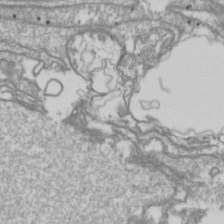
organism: Drosophila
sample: Cell division; meiosis; drosophila spermatocytes